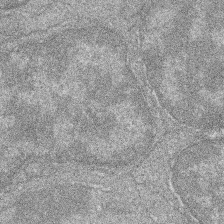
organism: Zebrafish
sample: Cilia; retinal pigment epithelium